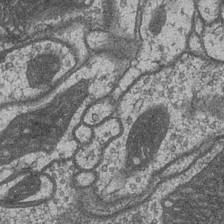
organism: Drosophila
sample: Optic medulla